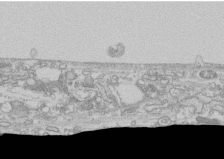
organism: Human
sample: CRL-1474